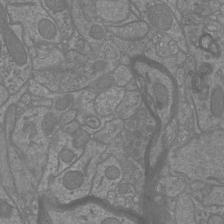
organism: Mouse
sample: Cortical neurons